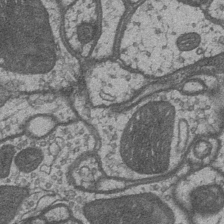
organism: Drosophila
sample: Optic medulla